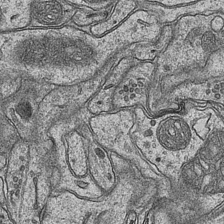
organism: Mouse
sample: CA1 Hippocampus